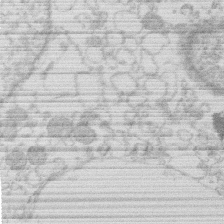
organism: Human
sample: Macrophage cells